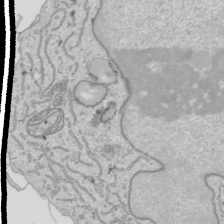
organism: Human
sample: Mitochondria in HCT116 cells